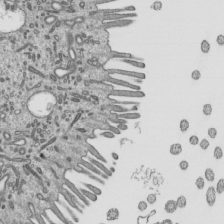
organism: Mouse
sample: Mouse epididymis efferent ductule cilia